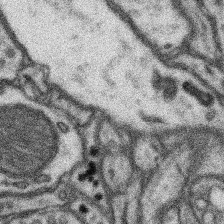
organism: Mouse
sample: Somatosensory cortex neuropil